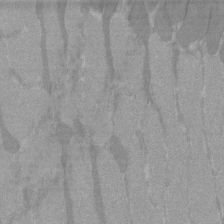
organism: C57BL Mouse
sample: Tibialis anterior muscle cell